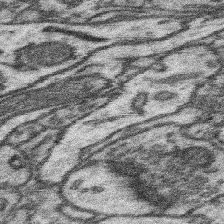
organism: Mouse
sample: Somatosensory cortex neuropil